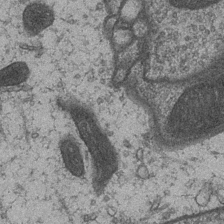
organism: Drosophila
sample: Optic medulla